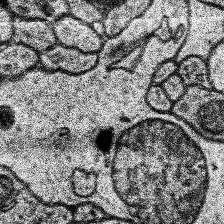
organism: Human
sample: Temporal Lobe